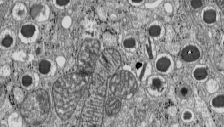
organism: C57BL Mouse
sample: Pancreatic islet